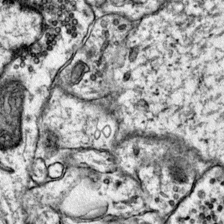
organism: Mouse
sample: Primary visual cortex